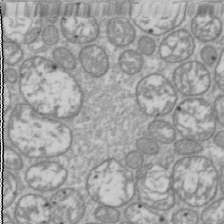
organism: Drosophila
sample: Cell division; meiosis; drosophila spermatocytes